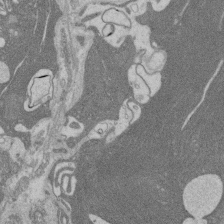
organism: Rat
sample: Salivary granule